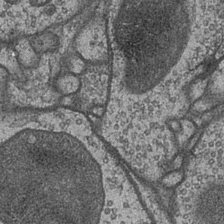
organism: Drosophila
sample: Optic medulla